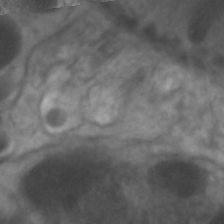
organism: C. elegans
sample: Pharynx